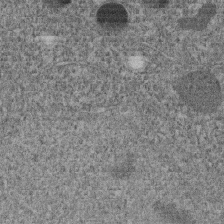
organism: C. elegans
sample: C. elegans embryo early stage